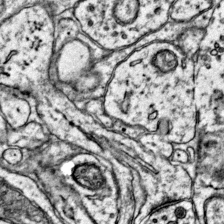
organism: Mouse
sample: Primary visual cortex